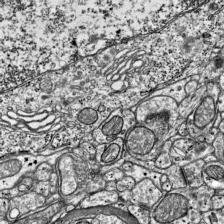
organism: Mouse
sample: Visual Cortex